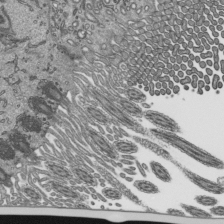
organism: Mouse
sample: Mouse epididymis efferent ductule cilia